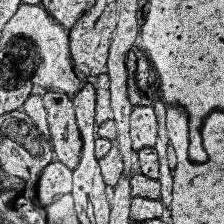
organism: Human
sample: Temporal Lobe